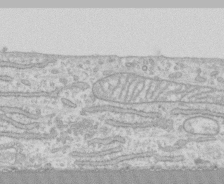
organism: Human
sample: CRL-1474